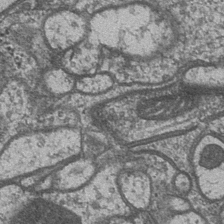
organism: Drosophila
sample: Optic medulla